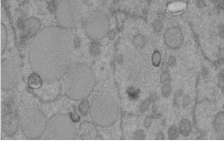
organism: C. elegans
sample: C. elegans embryo early stage